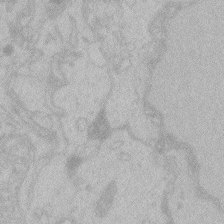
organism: Zebrafish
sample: Macrophage infected with Toxoplasma gondii